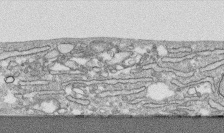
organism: Human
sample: CRL-1474